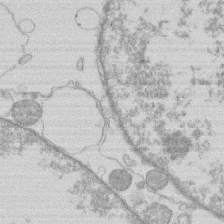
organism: Human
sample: Macrophage cells